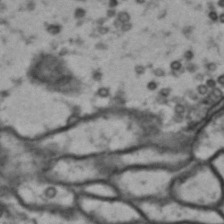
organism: Drosophila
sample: Brain